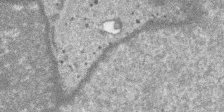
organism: Human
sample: Lung epithelial cells infected with SARS-CoV-2